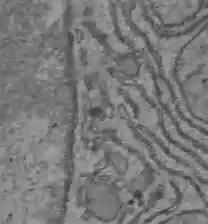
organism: C57BL Mouse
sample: Liver